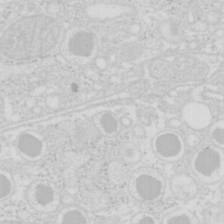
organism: Mouse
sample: Pancreas